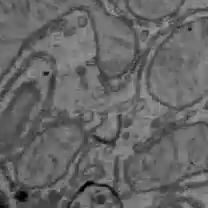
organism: C57BL Mouse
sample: Liver